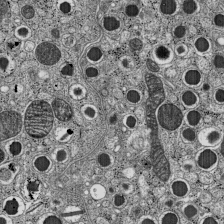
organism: C57BL Mouse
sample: Pancreatic islet